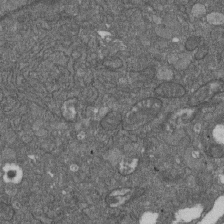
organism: Drosophila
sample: Nephrocyte